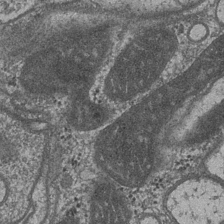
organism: Drosophila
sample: Optic medulla